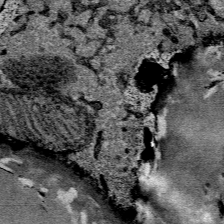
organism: Mouse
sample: Mouse Salivary gland